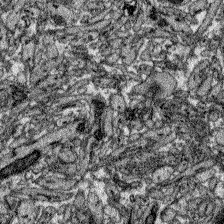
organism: Zebrafish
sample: Larval olfactory bulb